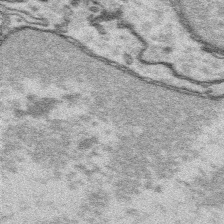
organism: Platynereis dumerilii